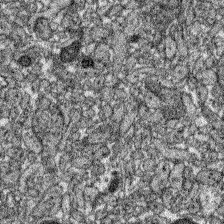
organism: Zebrafish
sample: Larval olfactory bulb